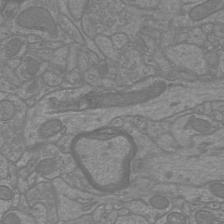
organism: Mouse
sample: Cortical neurons